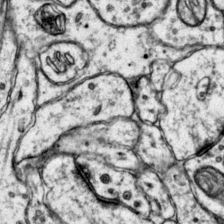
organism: Mouse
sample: Primary visual cortex